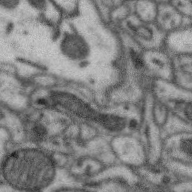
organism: Zebra finch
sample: Brain